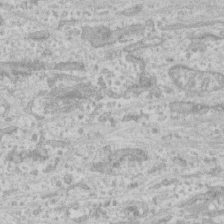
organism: Human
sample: CRL-1474